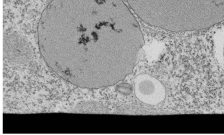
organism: Tetrahymena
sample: Cilia in tetrahymena